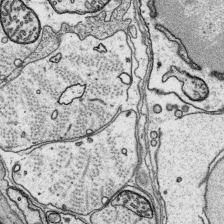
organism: Platynereis dumerilii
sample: Parapodia